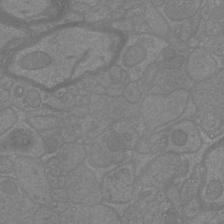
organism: Mouse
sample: Cortical neurons